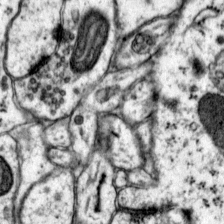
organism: Mouse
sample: Primary visual cortex